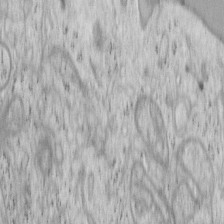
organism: Human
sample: HeLa cells